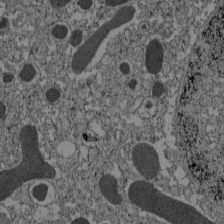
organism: C57BL Mouse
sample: Pancreatic islet